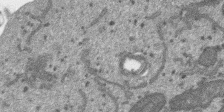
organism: Human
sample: Lung epithelial cells infected with SARS-CoV-2